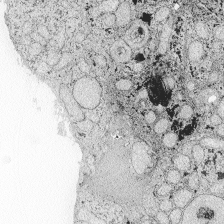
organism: Zebrafish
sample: Whole-Brain